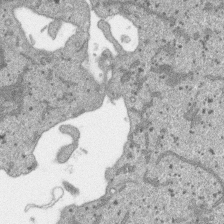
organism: Human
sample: Lung epithelial cells infected with SARS-CoV-2